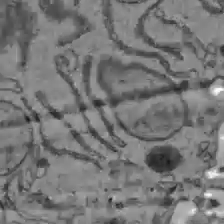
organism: C57BL Mouse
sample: Liver